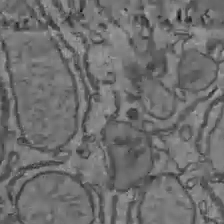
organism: C57BL Mouse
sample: Liver